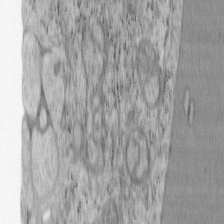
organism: Human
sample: HeLa cells